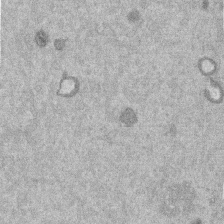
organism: Mouse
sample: Dividing mouse embryo 1 cell stage